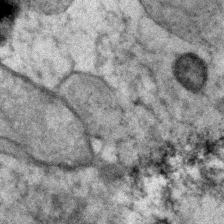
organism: Human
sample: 1205lu cells